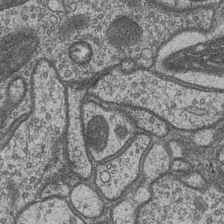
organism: Drosophila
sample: Optic medulla